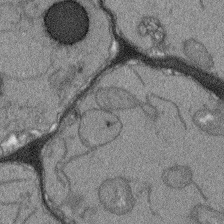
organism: Arabidopsis thaliana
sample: Root tip